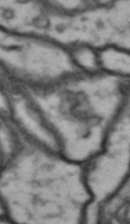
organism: Drosophila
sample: Brain